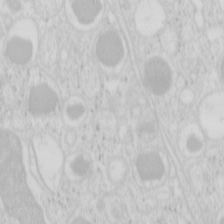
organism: Mouse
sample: Pancreas